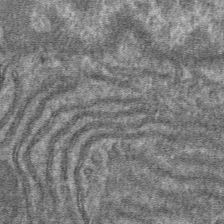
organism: Mouse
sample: Mouse hepatocytes